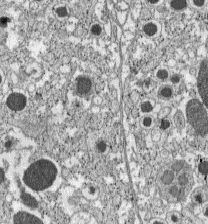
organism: C57BL Mouse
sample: Pancreatic islet